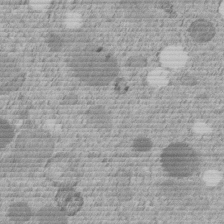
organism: C. elegans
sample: C. elegans embryo early stage